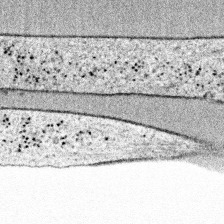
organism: Human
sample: HeLa cells